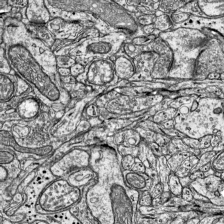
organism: Mouse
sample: Visual Cortex